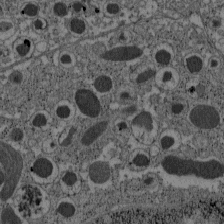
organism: C57BL Mouse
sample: Pancreatic islet